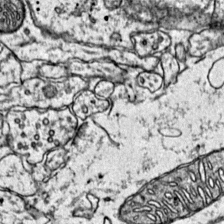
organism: Mouse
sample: Primary visual cortex